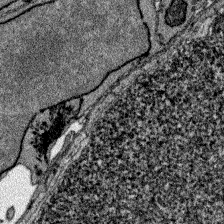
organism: Zebrafish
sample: Larval olfactory bulb